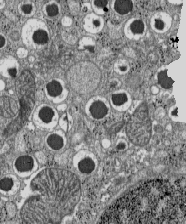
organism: C57BL Mouse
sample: Pancreatic islet